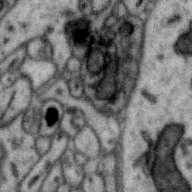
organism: Zebra finch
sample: Brain